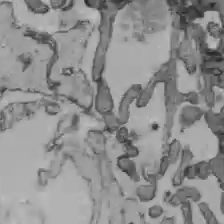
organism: C57BL Mouse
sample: Liver